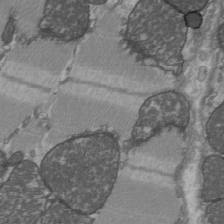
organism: C57BL Mouse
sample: Heart